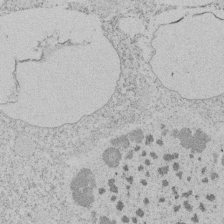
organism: Tetrahymena